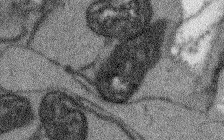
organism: Arabidopsis thaliana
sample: Root tip